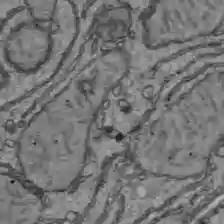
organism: C57BL Mouse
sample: Liver